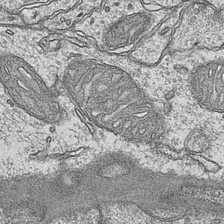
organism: Mouse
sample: CA1 Hippocampus